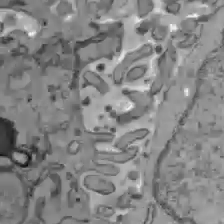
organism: C57BL Mouse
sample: Liver